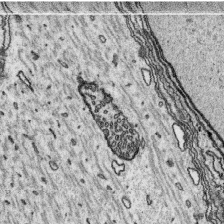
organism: Platynereis dumerilii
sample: Parapodia